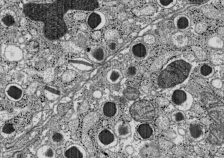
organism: C57BL Mouse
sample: Pancreatic islet